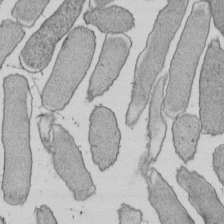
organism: E. coli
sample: Bacterial nucleoid